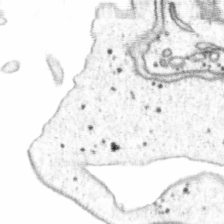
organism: Human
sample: HeLa cells